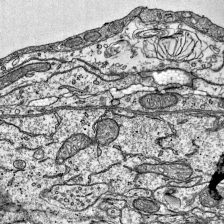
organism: Mouse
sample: Visual Cortex